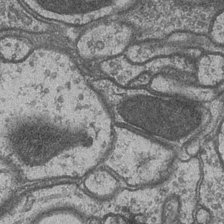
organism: Drosophila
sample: Optic medulla